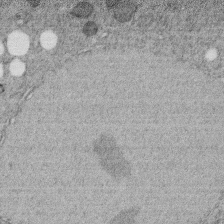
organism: C. elegans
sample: C. elegans embryo early stage